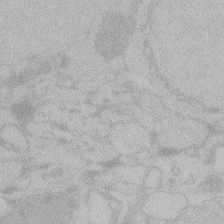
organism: Zebrafish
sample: Macrophage infected with Toxoplasma gondii